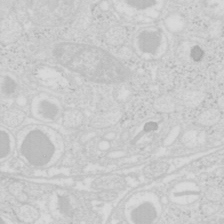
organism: Mouse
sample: Pancreas